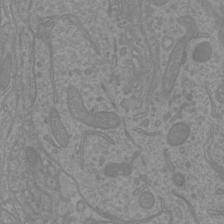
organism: Mouse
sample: Cortical neurons